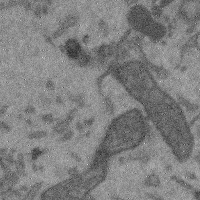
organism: Mouse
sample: Cerebral cortex